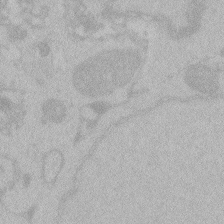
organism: Zebrafish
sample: Macrophage infected with Toxoplasma gondii